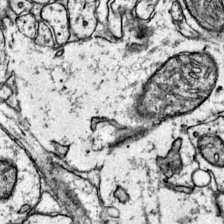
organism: Mouse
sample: Primary visual cortex